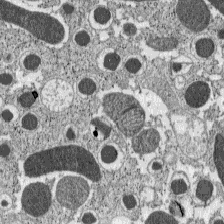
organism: C57BL Mouse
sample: Pancreatic islet